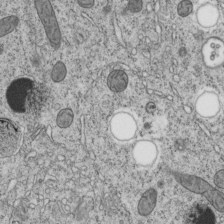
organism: C. elegans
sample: C. elegans embryo early stage